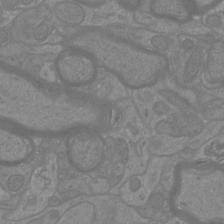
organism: Mouse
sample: Cortical neurons